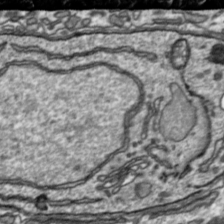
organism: Toxoplasma gondii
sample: Parasites in a vacuole inside a host cell